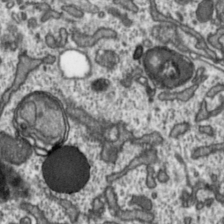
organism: Toxoplasma gondii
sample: Parasites in a vacuole inside a host cell